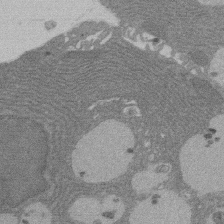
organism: Rat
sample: Salivary granule